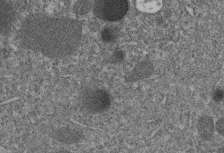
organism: C. elegans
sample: C. elegans embryo early stage